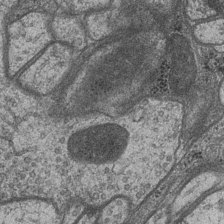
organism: Drosophila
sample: Optic medulla